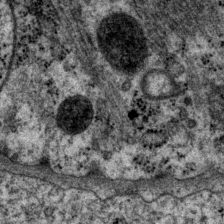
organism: P. pacificus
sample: Pharynx